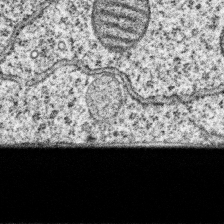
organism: Human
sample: HeLa cells